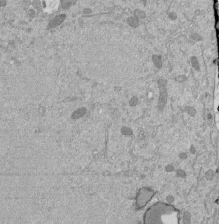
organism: Mouse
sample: ED-1 cell nuclei; centrioles